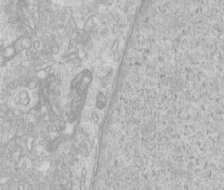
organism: Human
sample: Centriole in RPE cells